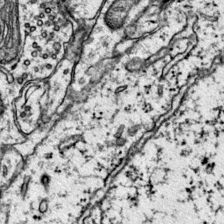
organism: Mouse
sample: Primary visual cortex